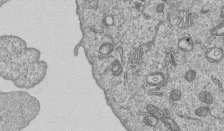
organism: Human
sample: MDA-MB-231 cells